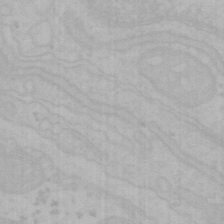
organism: Mouse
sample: Choroid plexus